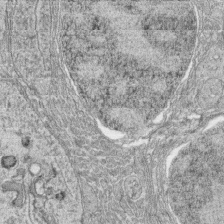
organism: Zebrafish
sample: synaptic ribbons in rod cells and cone cells